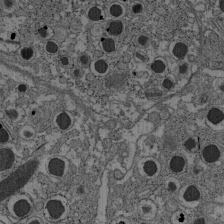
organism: C57BL Mouse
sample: Pancreatic islet